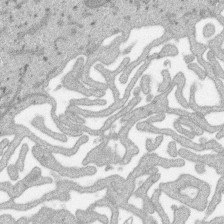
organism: Human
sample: Lung epithelial cells infected with SARS-CoV-2